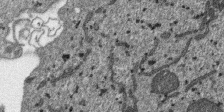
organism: Human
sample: Lung epithelial cells infected with SARS-CoV-2